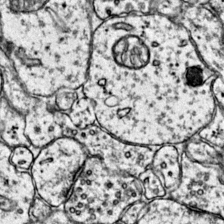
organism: Mouse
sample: Primary visual cortex